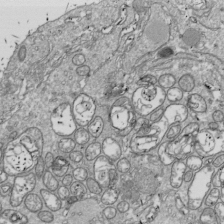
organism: Drosophila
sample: Cell division; meiosis; drosophila spermatocytes